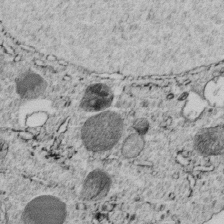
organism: C. elegans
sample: C. elegans embryo early stage